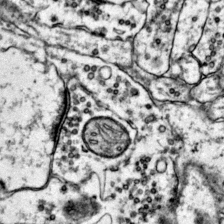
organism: Mouse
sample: Primary visual cortex